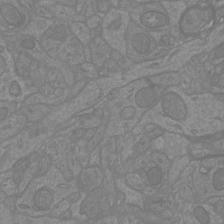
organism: Mouse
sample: Cortical neurons